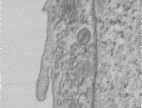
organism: Human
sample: Centriole in RPE cells